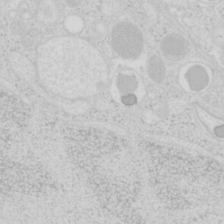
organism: Mouse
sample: Pancreas